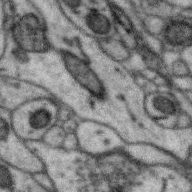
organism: Zebra finch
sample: Brain